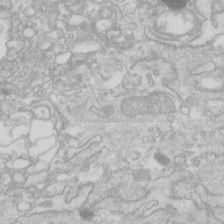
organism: Human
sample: Fibroblast cells